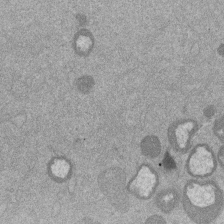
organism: Mouse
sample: Dividing mouse embryo 1 cell stage